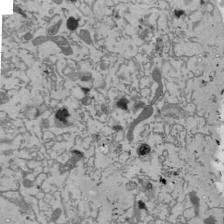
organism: Mouse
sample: ED-1 cell nuclei; centrioles